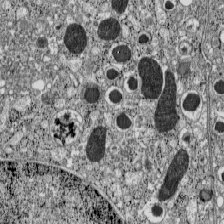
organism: C57BL Mouse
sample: Pancreatic islet